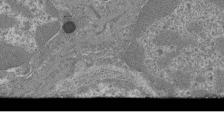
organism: Mouse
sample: Glomerulus